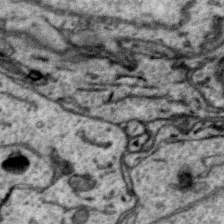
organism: Zebra finch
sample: Brain